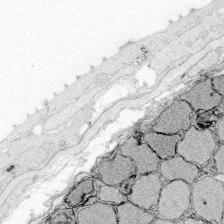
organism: Zebrafish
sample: Whole-Brain